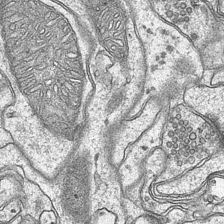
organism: Mouse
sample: CA1 Hippocampus